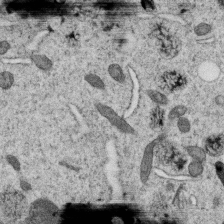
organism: C. elegans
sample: C. elegans oocyte; sperm cells